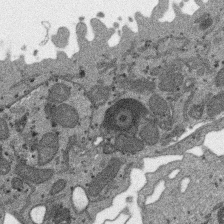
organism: Human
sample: Lung epithelial cells infected with SARS-CoV-2